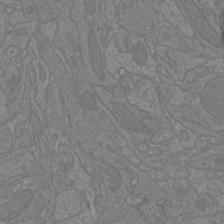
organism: Mouse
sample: Cortical neurons